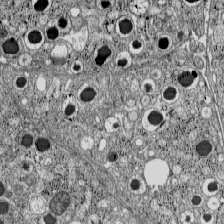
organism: C57BL Mouse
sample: Pancreatic islet